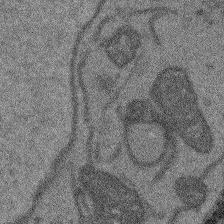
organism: Arabidopsis thaliana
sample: Root tip